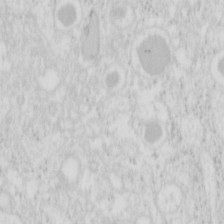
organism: Mouse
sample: Pancreas